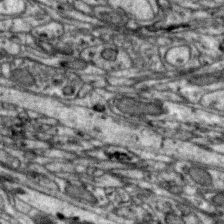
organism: Zebra finch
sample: Brain